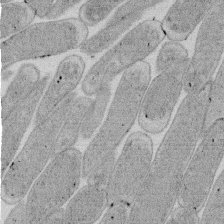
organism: E. coli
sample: Bacterial nucleoid